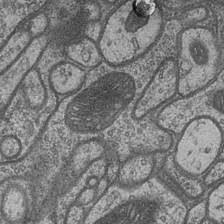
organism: Drosophila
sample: Optic medulla